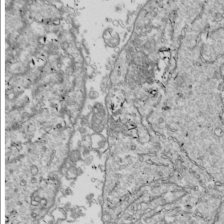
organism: Drosophila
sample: Cell division; meiosis; drosophila spermatocytes